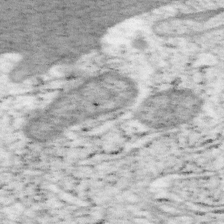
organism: Mouse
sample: OT-I killer T cells with ID8 ovarian cancer cells